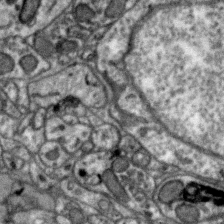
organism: Zebra finch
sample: Brain